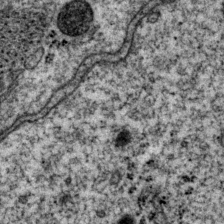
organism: P. pacificus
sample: Pharynx